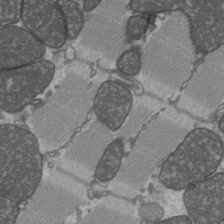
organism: C57BL Mouse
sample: Heart